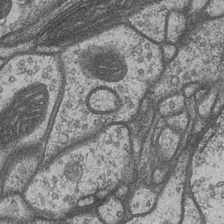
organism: Drosophila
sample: Optic medulla